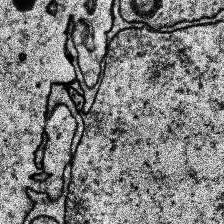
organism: Human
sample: Temporal Lobe